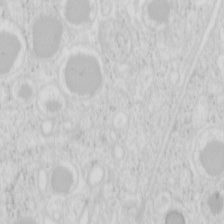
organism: Mouse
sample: Pancreas